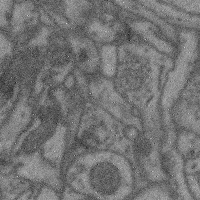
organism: Mouse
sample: Cerebral cortex